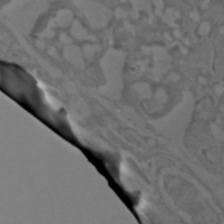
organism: C. elegans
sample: C. elegans embryo